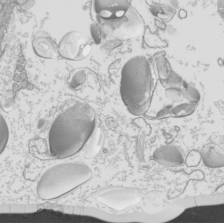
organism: Mouse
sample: Cilia; mouse epididymis